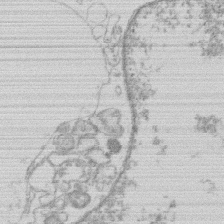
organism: Human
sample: Macrophage cells